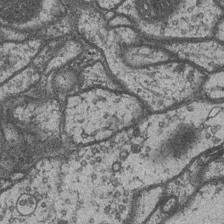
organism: Drosophila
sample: Optic medulla